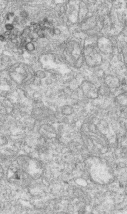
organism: Human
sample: HeLa cell HIV synapse